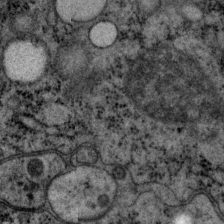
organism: P. pacificus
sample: Pharynx